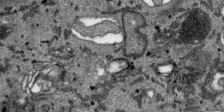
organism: Human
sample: Lung epithelial cells, uninfected (mock) control